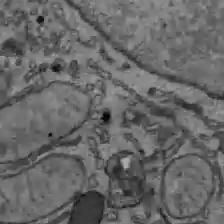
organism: C57BL Mouse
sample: Liver